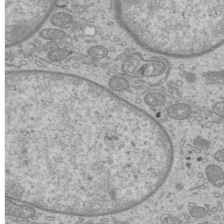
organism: Mouse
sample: Cilia; mouse epididymis